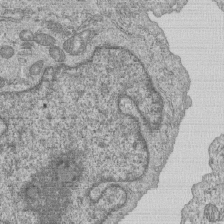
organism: Human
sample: MDA-MB-231 cells